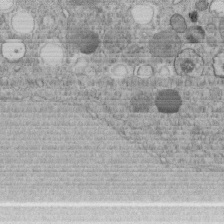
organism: C. elegans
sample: C. elegans embryo early stage